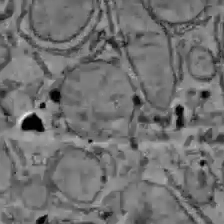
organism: C57BL Mouse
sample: Liver